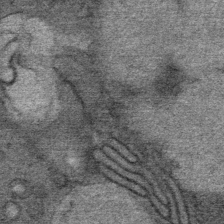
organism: Mouse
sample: Mouse Salivary gland